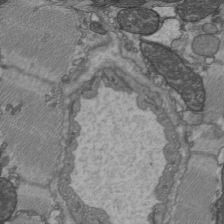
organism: C57BL Mouse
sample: Heart